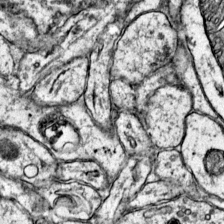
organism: Mouse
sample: Primary visual cortex